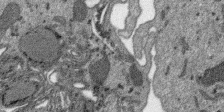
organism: Human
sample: Lung epithelial cells infected with SARS-CoV-2